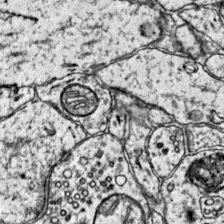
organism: Mouse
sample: Primary visual cortex